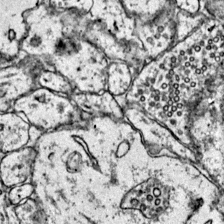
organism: Mouse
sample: Primary visual cortex